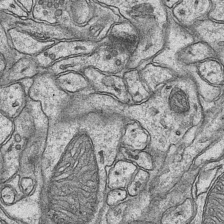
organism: Mouse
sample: CA1 Hippocampus